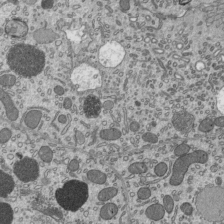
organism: Mouse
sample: Mouse epididymis efferent ductule cilia